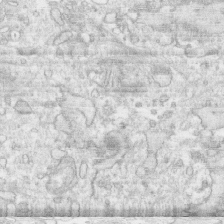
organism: Human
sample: CRL-1474